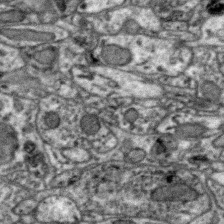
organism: Zebra finch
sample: Brain